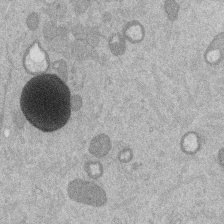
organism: Mouse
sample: Dividing mouse embryo 1 cell stage